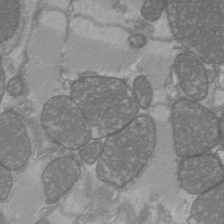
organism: C57BL Mouse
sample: Heart